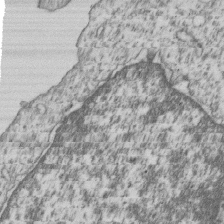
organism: Human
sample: MDA-MB-231 cells